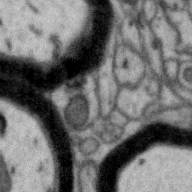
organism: Zebra finch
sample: Brain